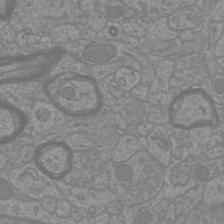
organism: Mouse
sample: Cortical neurons